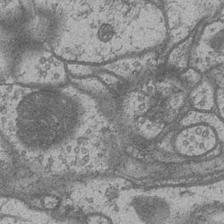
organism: Drosophila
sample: Optic medulla